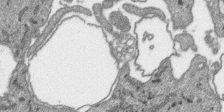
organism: Human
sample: Lung epithelial cells infected with SARS-CoV-2